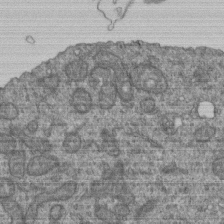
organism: Human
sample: Retinal organoid Rod and Cone cells